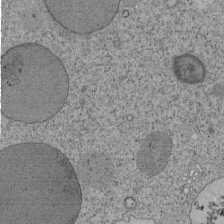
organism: Tetrahymena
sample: Cilia in tetrahymena